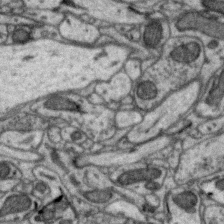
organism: Zebra finch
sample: Brain